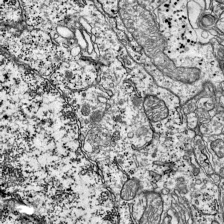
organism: Mouse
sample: Visual Cortex